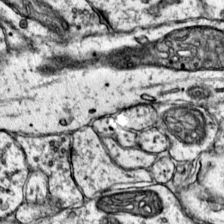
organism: Mouse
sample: Primary visual cortex